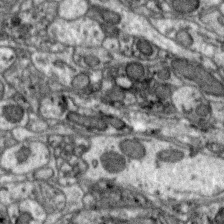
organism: Zebra finch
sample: Brain